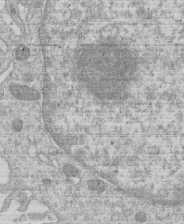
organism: Human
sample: Macrophage cells